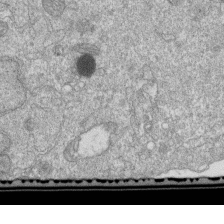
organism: Human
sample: HeLa cell HIV synapse